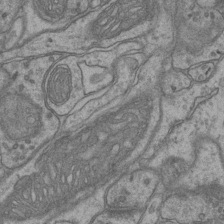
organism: Mouse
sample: CA1 Hippocampus